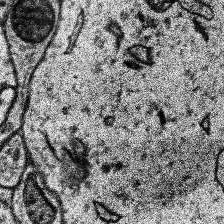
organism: Human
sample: Temporal Lobe